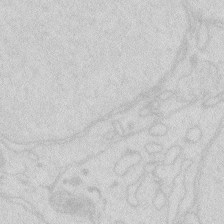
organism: Zebrafish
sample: Macrophage